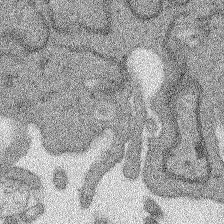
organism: Human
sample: HeLa cells